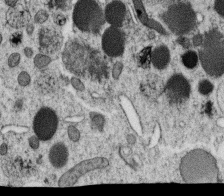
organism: C. elegans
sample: C. elegans oocyte; sperm cells